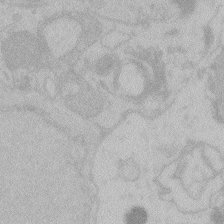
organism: Zebrafish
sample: Macrophage infected with Toxoplasma gondii